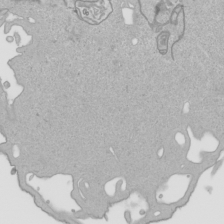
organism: Human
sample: Mitochondria in HCT116 cells